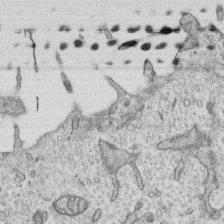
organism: Human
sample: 1205lu cells